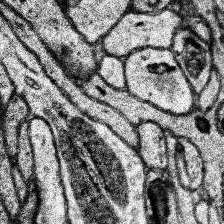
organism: Human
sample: Temporal Lobe